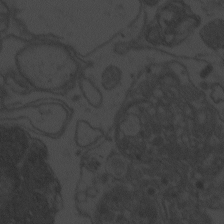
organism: Zebrafish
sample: Macrophage infected with Toxoplasma gondii